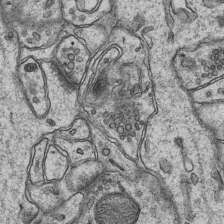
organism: Mouse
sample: CA1 Hippocampus